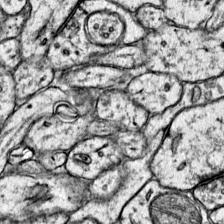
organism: Mouse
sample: Primary visual cortex